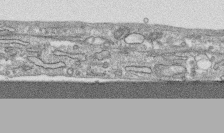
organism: Human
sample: CRL-1474